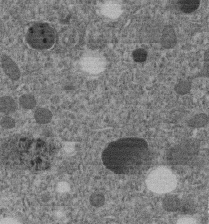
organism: C. elegans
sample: C. elegans embryo early stage